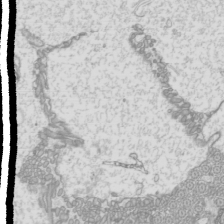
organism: Mouse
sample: Cilia; mouse epididymis